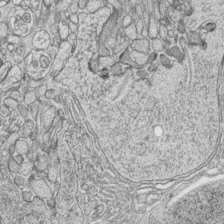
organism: Zebrafish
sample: synaptic ribbons in rod cells and cone cells